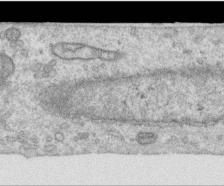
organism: Human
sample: Centriole in RPE cells